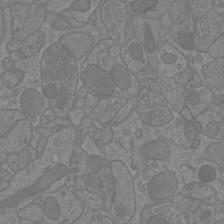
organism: Mouse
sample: Cortical neurons